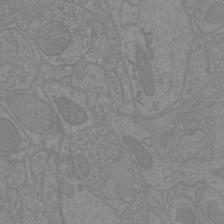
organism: Mouse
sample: Cortical neurons